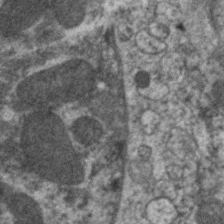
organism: C. elegans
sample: Pharynx